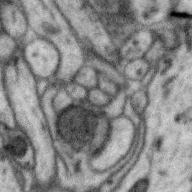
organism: Zebra finch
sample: Brain